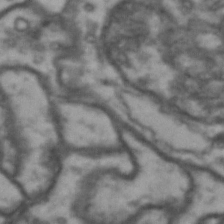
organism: Drosophila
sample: Brain